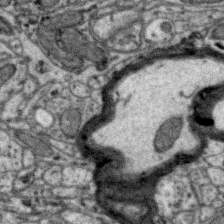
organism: Zebra finch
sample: Brain